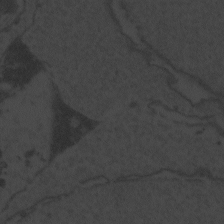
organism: Zebrafish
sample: Macrophage infected with Toxoplasma gondii